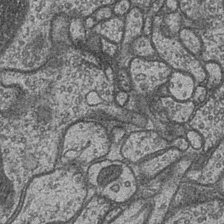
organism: Drosophila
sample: Optic medulla